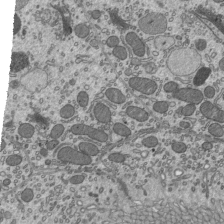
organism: Mouse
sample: Mouse epididymis efferent ductule cilia